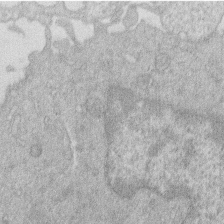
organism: Human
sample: Macrophage cells